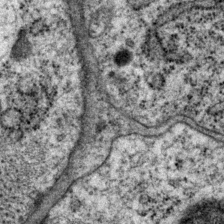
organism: P. pacificus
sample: Pharynx